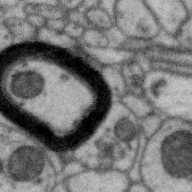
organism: Zebra finch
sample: Brain